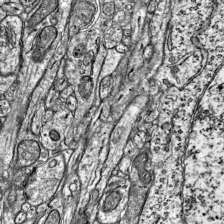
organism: Mouse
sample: Visual Cortex